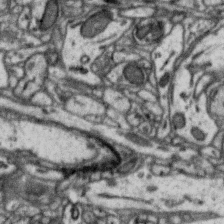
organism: Zebra finch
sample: Brain